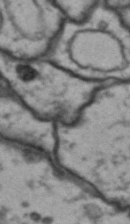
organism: Drosophila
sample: Brain